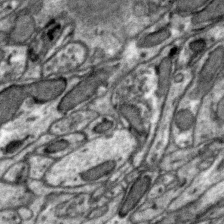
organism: Zebra finch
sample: Brain